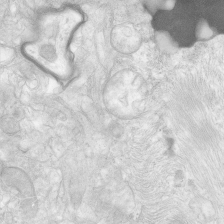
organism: Human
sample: Neocortex